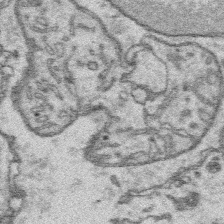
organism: Platynereis dumerilii